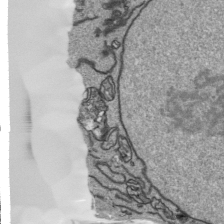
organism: Human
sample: Mitochondria in HCT116 cells